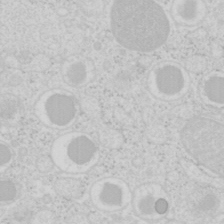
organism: Mouse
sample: Pancreas